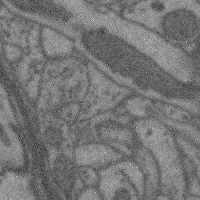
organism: Mouse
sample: Cerebral cortex